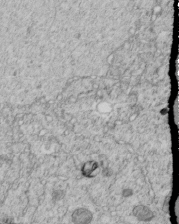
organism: C. elegans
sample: C. elegans embryo early stage